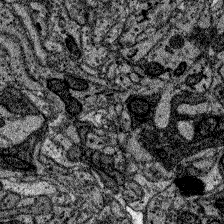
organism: Zebrafish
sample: Larval olfactory bulb